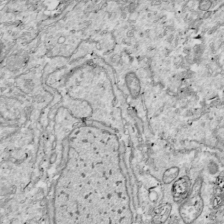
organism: Drosophila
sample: Cell division; meiosis; drosophila spermatocytes